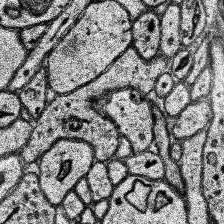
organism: Human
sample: Temporal Lobe